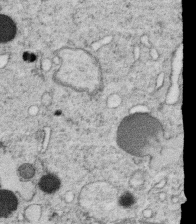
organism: C. elegans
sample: C. elegans oocyte; sperm cells